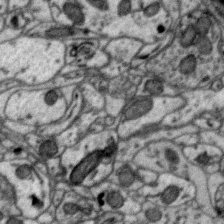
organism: Zebra finch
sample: Brain